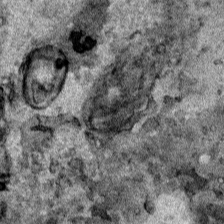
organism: Human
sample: Mitochondria in HCT116 cells